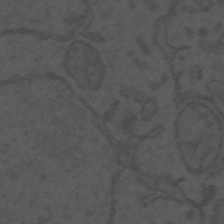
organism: Mouse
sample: Suprachiasmatic nucleus